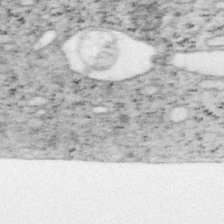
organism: Mouse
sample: OT-I killer T cells with ID8 ovarian cancer cells